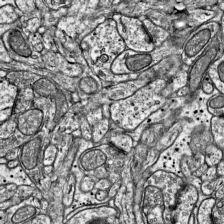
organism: Mouse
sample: Visual Cortex